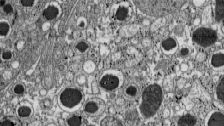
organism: C57BL Mouse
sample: Pancreatic islet